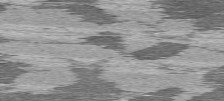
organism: C57BL Mouse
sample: Heart